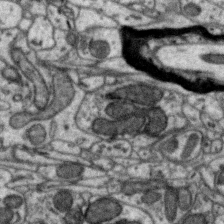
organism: Zebra finch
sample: Brain